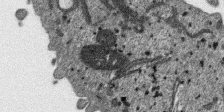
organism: Human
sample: Lung epithelial cells infected with SARS-CoV-2